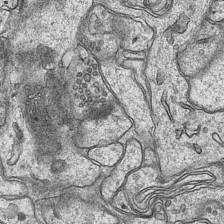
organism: Mouse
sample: CA1 Hippocampus